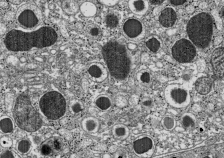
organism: C57BL Mouse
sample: Pancreatic islet